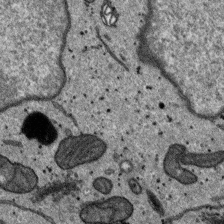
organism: Human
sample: Lung epithelial cells, uninfected (mock) control